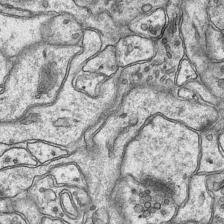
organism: Mouse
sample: CA1 Hippocampus